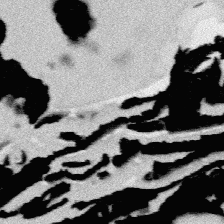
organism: Platynereis dumerilii